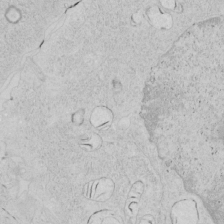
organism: Human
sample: Mitochondria in HCT116 cells